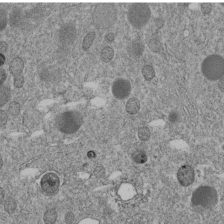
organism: C. elegans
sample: C. elegans embryo early stage